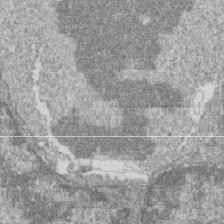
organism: Zebrafish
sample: Cilia; retinal pigment epithelium